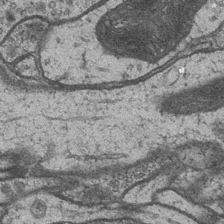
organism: Drosophila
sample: Optic medulla